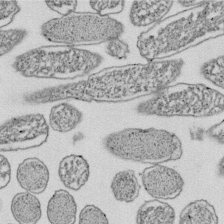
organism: E. coli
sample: Bacterial nucleoid